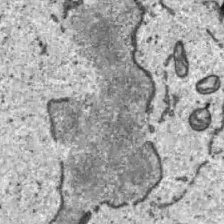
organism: Human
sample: HeLa cells